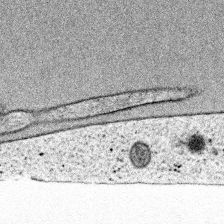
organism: Human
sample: HeLa cells